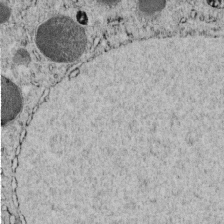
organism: C. elegans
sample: C. elegans embryo early stage